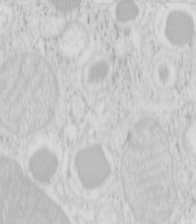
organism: Mouse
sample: Pancreas